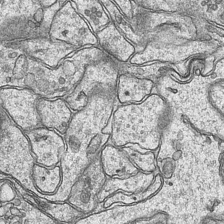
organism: Mouse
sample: CA1 Hippocampus